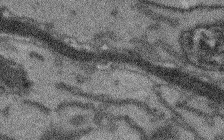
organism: Arabidopsis thaliana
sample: Root tip